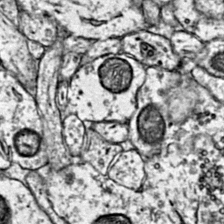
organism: Mouse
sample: Primary visual cortex